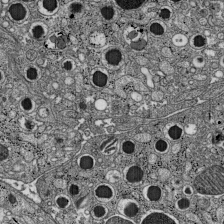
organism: C57BL Mouse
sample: Pancreatic islet